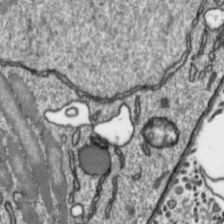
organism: Toxoplasma gondii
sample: Parasites in a vacuole inside a host cell